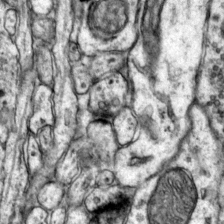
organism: Mouse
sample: Primary visual cortex